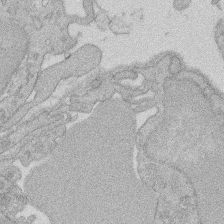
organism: Rat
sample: Salivary granule